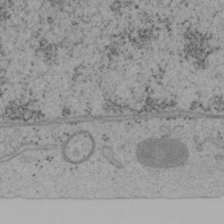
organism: Human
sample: HeLa cells